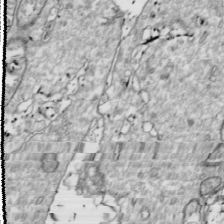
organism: Drosophila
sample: Cell division; meiosis; drosophila spermatocytes